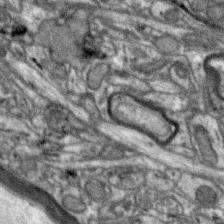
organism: Zebra finch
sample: Brain